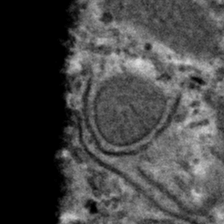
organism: Mouse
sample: Mouse hepatocytes